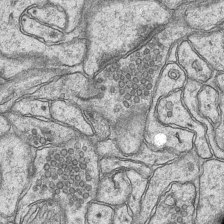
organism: Mouse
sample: CA1 Hippocampus